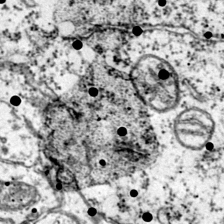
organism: Mouse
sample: Primary visual cortex